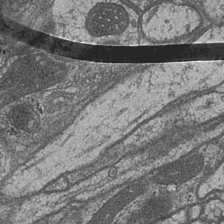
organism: Drosophila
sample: Optic medulla